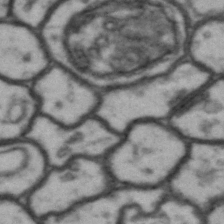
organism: Drosophila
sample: Brain